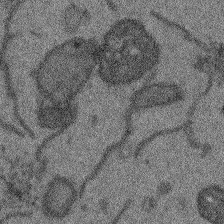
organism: Arabidopsis thaliana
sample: Root tip